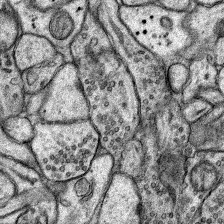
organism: Rat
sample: Hippocampus